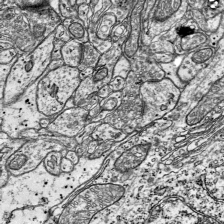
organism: Mouse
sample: Visual Cortex